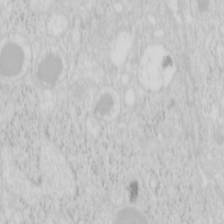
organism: Mouse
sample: Pancreas